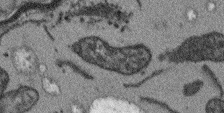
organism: Arabidopsis thaliana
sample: Root tip